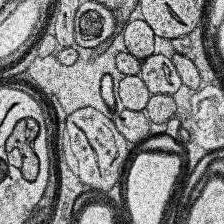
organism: Human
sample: Temporal Lobe